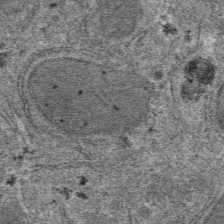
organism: Mouse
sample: Mouse hepatocytes